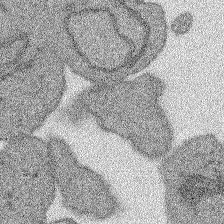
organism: Human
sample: HeLa cells